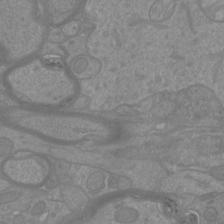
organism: Mouse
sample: Cortical neurons